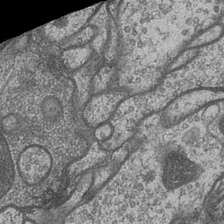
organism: Drosophila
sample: Optic medulla